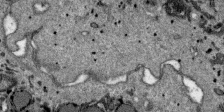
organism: Human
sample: Lung epithelial cells, uninfected (mock) control